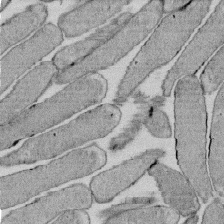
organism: E. coli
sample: Bacterial nucleoid